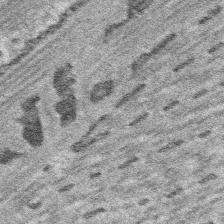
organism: Platynereis dumerilii